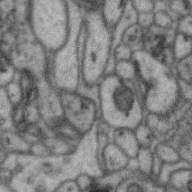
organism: Zebra finch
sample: Brain